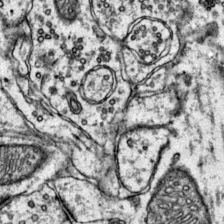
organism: Mouse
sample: Primary visual cortex